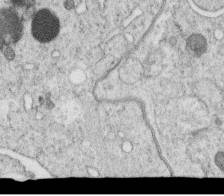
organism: C. elegans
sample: C. elegans oocyte; sperm cells